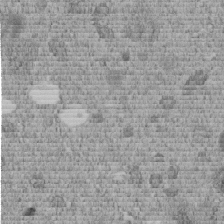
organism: C. elegans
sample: C. elegans embryo early stage